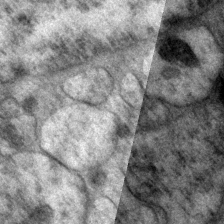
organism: P. pacificus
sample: Pharynx